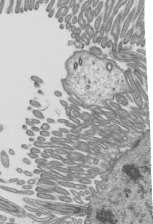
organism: Mouse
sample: Mouse epididymis efferent ductule cilia